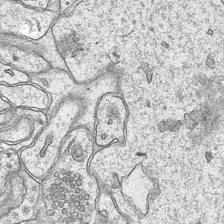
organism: Mouse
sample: CA1 Hippocampus